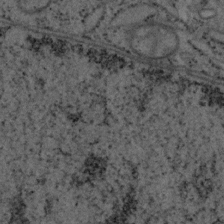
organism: Human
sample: HeLa cells